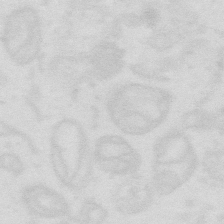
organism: Human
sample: HeLa cells